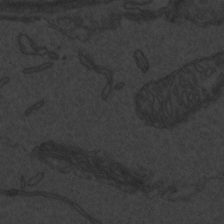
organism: Zebrafish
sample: Macrophage infected with Toxoplasma gondii